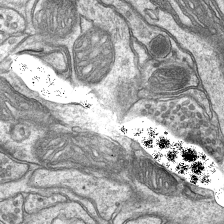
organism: Mouse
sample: CA1 Hippocampus